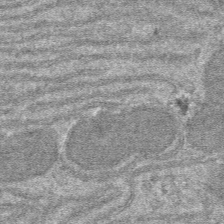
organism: Mouse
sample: Mouse hepatocytes